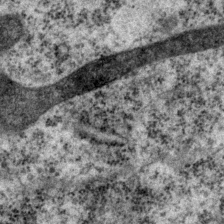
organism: P. pacificus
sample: Pharynx